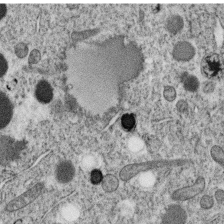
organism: C. elegans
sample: C. elegans oocyte; sperm cells